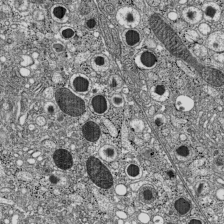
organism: C57BL Mouse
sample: Pancreatic islet